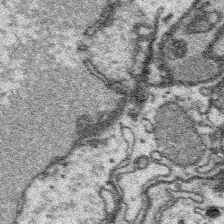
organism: Platynereis dumerilii